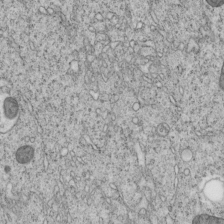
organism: C. elegans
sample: C. elegans embryo early stage